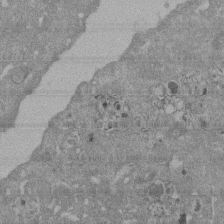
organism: Mouse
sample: ED-1 cell nuclei; centrioles